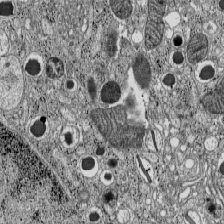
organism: C57BL Mouse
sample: Pancreatic islet